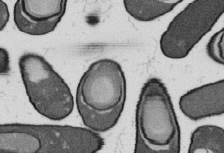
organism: B. subtilis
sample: Bacterial spore